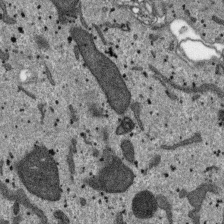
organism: Human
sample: Lung epithelial cells, uninfected (mock) control